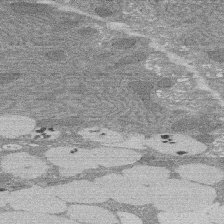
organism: Rat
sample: Salivary granule